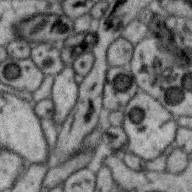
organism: Zebra finch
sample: Brain